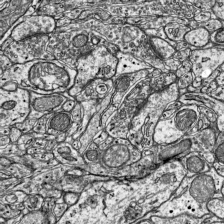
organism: Mouse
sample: Visual Cortex